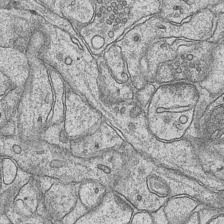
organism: Mouse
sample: CA1 Hippocampus